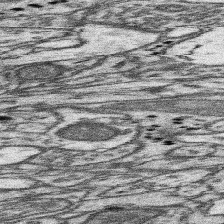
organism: Mouse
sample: Somatosensory cortex neuropil